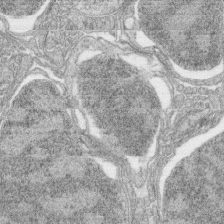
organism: Zebrafish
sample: synaptic ribbons in rod cells and cone cells